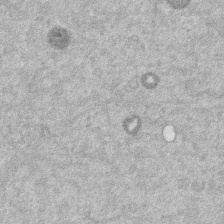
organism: Mouse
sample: Dividing mouse embryo 1 cell stage